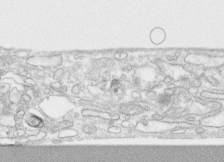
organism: Human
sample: CRL-1474